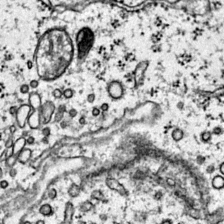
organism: Mouse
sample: Primary visual cortex